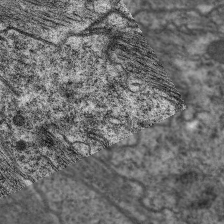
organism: C. elegans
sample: Pharynx